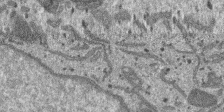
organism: Human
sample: Lung epithelial cells infected with SARS-CoV-2